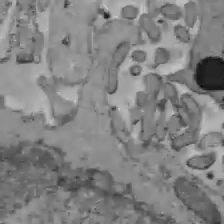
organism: C57BL Mouse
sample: Liver